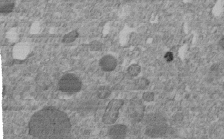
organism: C. elegans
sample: C. elegans embryo early stage